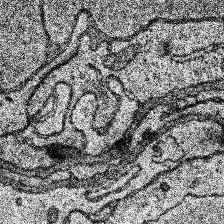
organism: Human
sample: Temporal Lobe